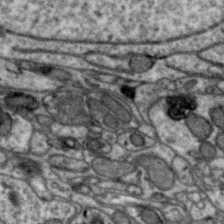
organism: Zebra finch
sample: Brain